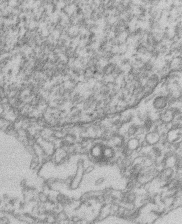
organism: Mouse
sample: T cell stromal cell synapse